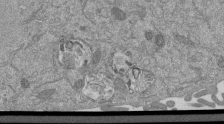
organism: Mouse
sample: ED-1 cell nuclei; centrioles